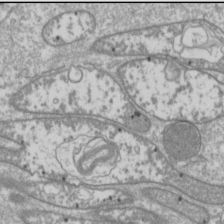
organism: Drosophila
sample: Cell division; meiosis; drosophila spermatocytes